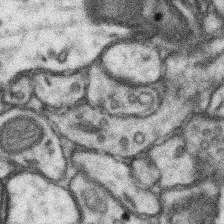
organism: Mouse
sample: Somatosensory cortex neuropil